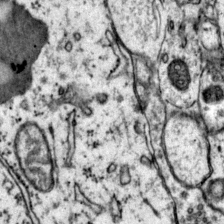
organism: Mouse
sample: Primary visual cortex